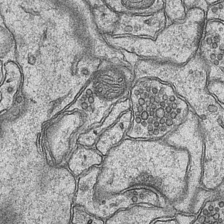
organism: Mouse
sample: CA1 Hippocampus